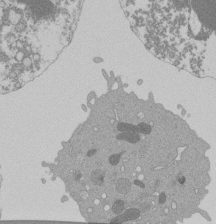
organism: Mouse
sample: Activated Pmel transgenic CD8+ T Cells